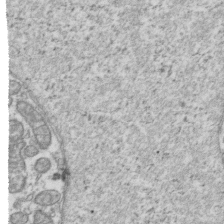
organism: Human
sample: Activated Jurkat CD4+ T cells